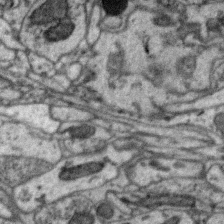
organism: Zebra finch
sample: Brain